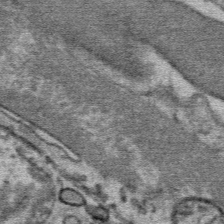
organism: Mouse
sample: Mouse Salivary gland